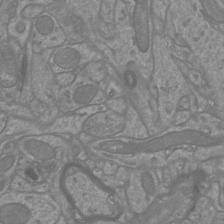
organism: Mouse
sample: Cortical neurons